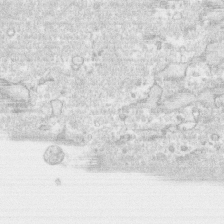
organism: Human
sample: CRL-1474